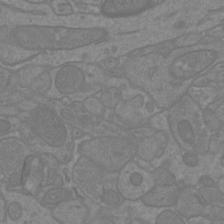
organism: Mouse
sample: Cortical neurons